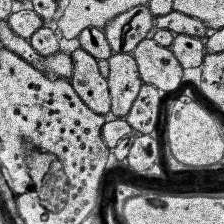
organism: Human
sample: Temporal Lobe